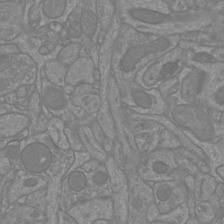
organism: Mouse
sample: Cortical neurons